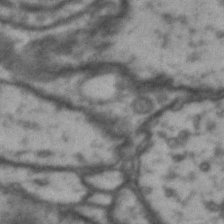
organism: Drosophila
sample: Brain